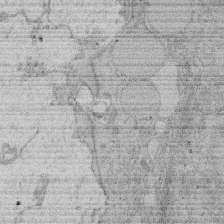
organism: Rat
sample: Salivary granule